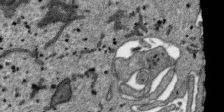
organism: Human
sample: Lung epithelial cells, uninfected (mock) control